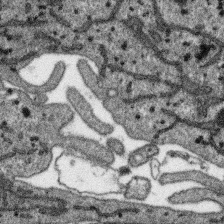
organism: Human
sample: Lung epithelial cells infected with SARS-CoV-2